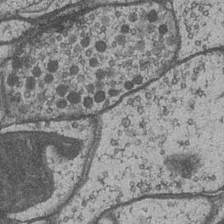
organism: Drosophila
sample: Optic medulla